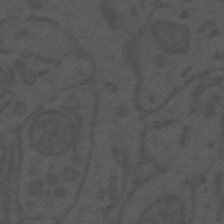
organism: Mouse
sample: Suprachiasmatic nucleus